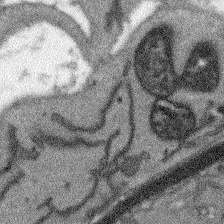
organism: Arabidopsis thaliana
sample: Root tip